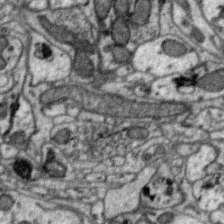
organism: Zebra finch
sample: Brain